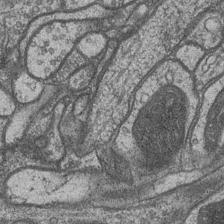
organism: Drosophila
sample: Optic medulla